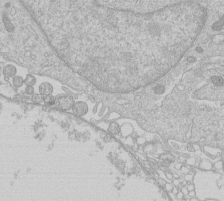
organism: Human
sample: Macrophage cells